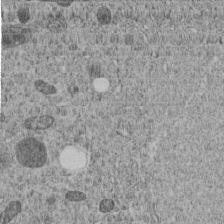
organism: C. elegans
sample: C. elegans embryo early stage